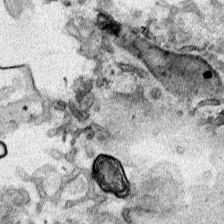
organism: Human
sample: Mitochondria in HCT116 cells